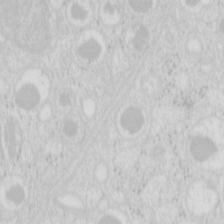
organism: Mouse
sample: Pancreas